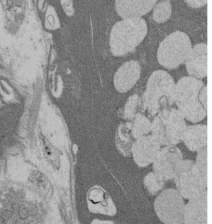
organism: Rat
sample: Salivary granule